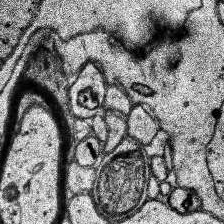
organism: Human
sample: Temporal Lobe